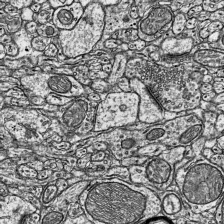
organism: Mouse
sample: Visual Cortex